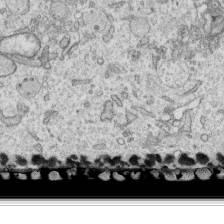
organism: Human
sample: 1205lu cells